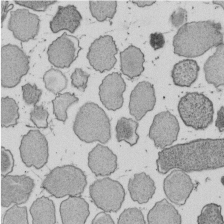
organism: E. coli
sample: Bacterial nucleoid